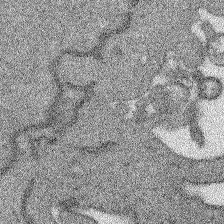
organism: Human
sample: HeLa cells